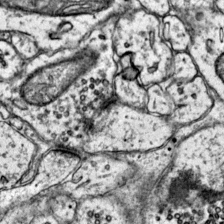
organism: Mouse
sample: Primary visual cortex